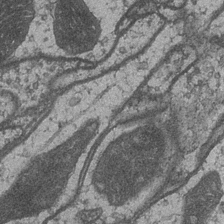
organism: Drosophila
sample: Optic medulla